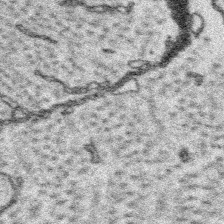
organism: Platynereis dumerilii